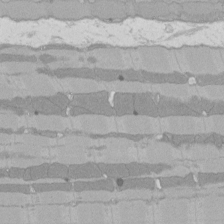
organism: Rat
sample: Left ventricle